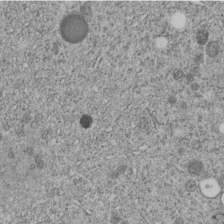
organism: C. elegans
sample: C. elegans embryo early stage